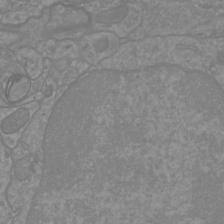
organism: Mouse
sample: Cortical neurons